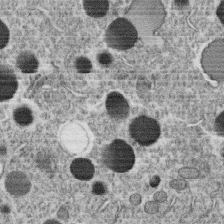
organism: C. elegans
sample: C. elegans oocyte; sperm cells